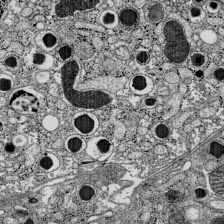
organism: C57BL Mouse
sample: Pancreatic islet